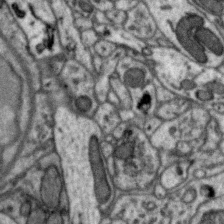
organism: Zebra finch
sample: Brain